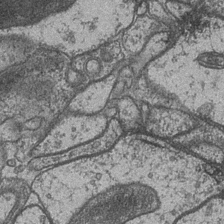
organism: Drosophila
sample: Optic medulla